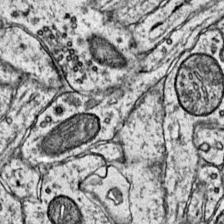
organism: Mouse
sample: Primary visual cortex